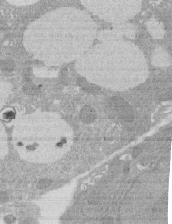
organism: Rat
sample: Salivary granule